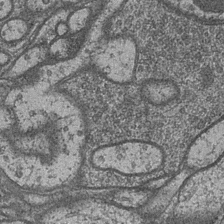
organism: Drosophila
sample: Optic medulla